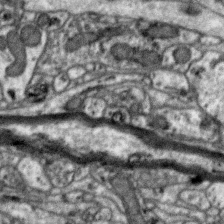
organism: Zebra finch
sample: Brain